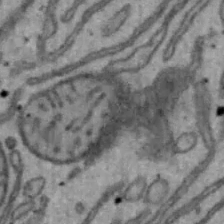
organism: Mouse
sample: Liver